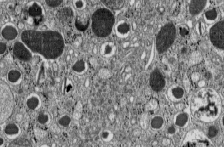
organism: C57BL Mouse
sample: Pancreatic islet